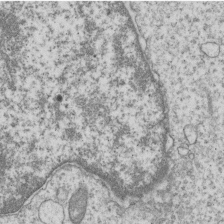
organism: Human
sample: MDA-MB-231 cells